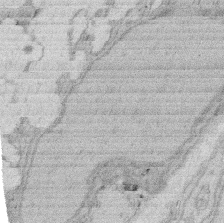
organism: Rat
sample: Salivary granule